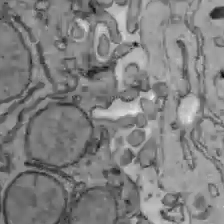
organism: C57BL Mouse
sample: Liver